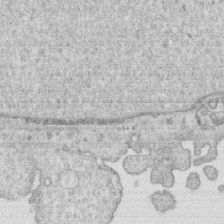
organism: Human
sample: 1205lu cells